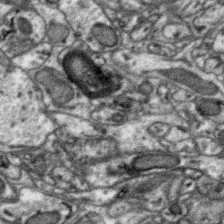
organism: Zebra finch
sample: Brain